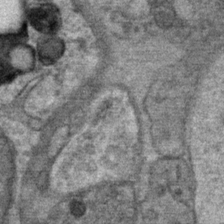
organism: Mouse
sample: Mouse Salivary gland